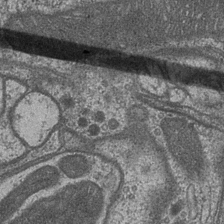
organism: Drosophila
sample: Optic medulla